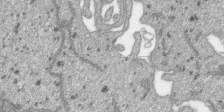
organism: Human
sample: Lung epithelial cells infected with SARS-CoV-2